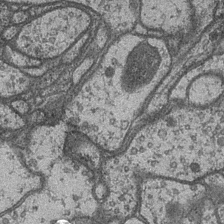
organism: Drosophila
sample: Optic medulla